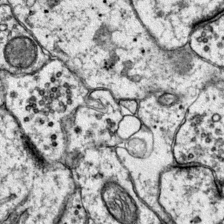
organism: Mouse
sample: Primary visual cortex